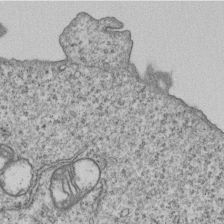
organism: Human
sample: MDA-MB-231 cells